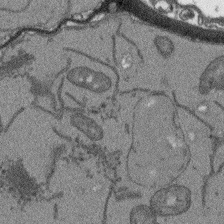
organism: Arabidopsis thaliana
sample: Root tip